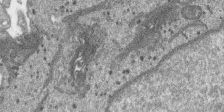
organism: Human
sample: Lung epithelial cells infected with SARS-CoV-2